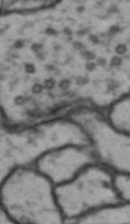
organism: Drosophila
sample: Brain